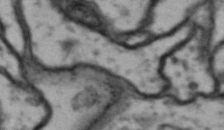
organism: Drosophila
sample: Brain